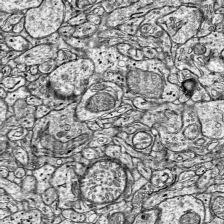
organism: Mouse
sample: Visual Cortex